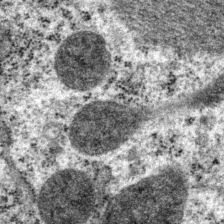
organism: P. pacificus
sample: Pharynx